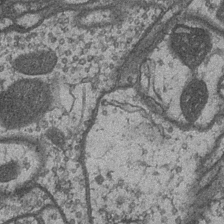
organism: Drosophila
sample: Optic medulla